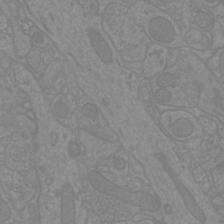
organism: Mouse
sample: Cortical neurons